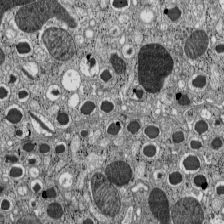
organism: C57BL Mouse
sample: Pancreatic islet